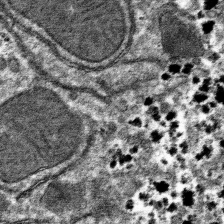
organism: Mouse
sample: Mouse hepatocytes